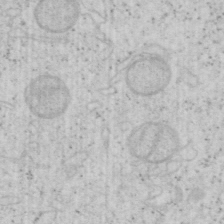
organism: Human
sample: HeLa cells